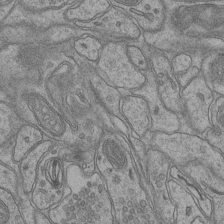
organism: Mouse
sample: CA1 Hippocampus